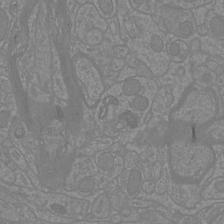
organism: Mouse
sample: Cortical neurons